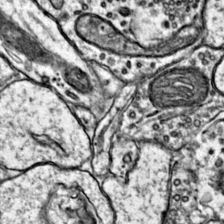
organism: Mouse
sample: Primary visual cortex